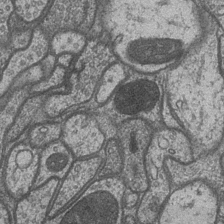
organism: Drosophila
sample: Optic medulla